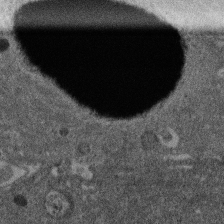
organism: Mouse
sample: Dividing mouse embryo 1 cell stage